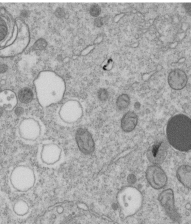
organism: C. elegans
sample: C. elegans embryo early stage